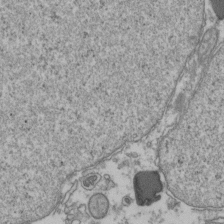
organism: Human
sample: Activated Jurkat CD4+ T cells